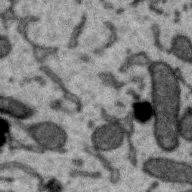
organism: Zebra finch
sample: Brain